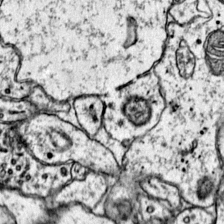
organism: Mouse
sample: Primary visual cortex